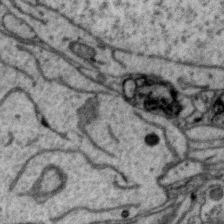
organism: Zebra finch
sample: Brain